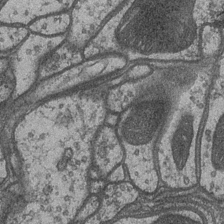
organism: Drosophila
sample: Optic medulla